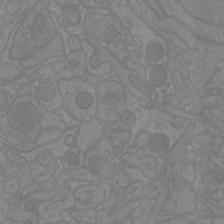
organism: Mouse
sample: Cortical neurons